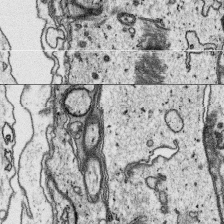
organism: Platynereis dumerilii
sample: Parapodia